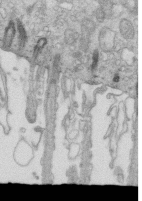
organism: Mouse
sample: Multiciliated cells